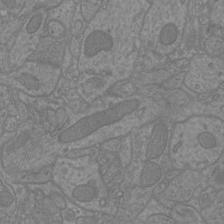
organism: Mouse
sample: Cortical neurons